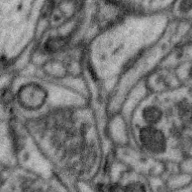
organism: Zebra finch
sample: Brain